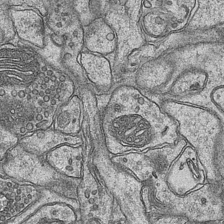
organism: Mouse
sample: CA1 Hippocampus